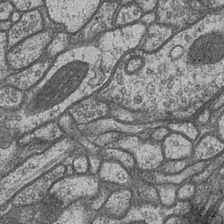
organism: Drosophila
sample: Optic medulla